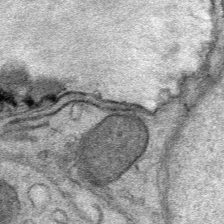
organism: Mouse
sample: Mouse Salivary gland